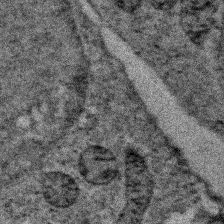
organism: Zebrafish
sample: Zebrafish embryo